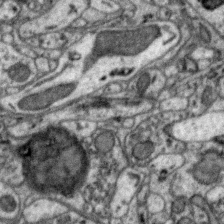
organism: Zebra finch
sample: Brain